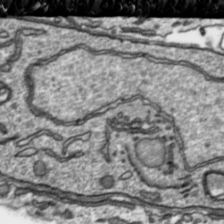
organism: Toxoplasma gondii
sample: Parasites in a vacuole inside a host cell